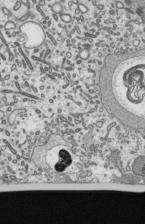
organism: Mouse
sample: Mouse epididymis efferent ductule cilia